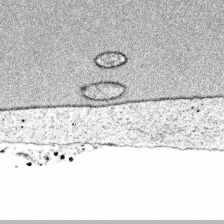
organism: Human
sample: HeLa cells